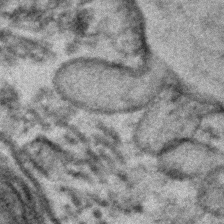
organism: Human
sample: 1205lu cells